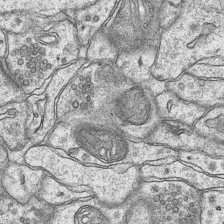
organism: Mouse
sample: CA1 Hippocampus